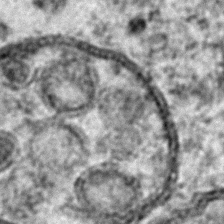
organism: C. elegans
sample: C. elegans embryo